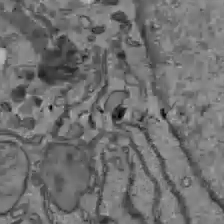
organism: C57BL Mouse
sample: Liver